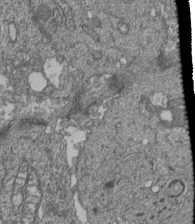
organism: Human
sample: Retinal organoid Rod and Cone cells